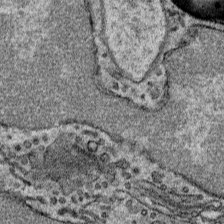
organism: Mouse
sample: Mouse Salivary gland